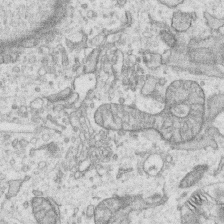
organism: Human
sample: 1205lu cells